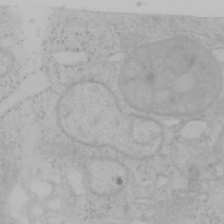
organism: Mouse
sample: OT-I killer T cells with ID8 ovarian cancer cells